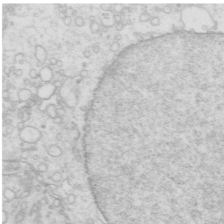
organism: Mouse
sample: Multiciliated cells